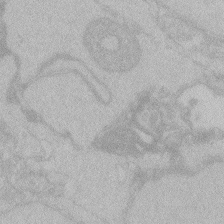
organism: Zebrafish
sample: Macrophage infected with Toxoplasma gondii